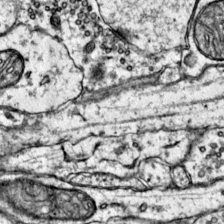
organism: Mouse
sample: Primary visual cortex